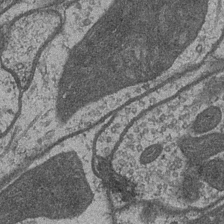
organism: Drosophila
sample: Optic medulla